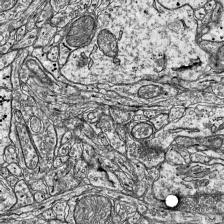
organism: Mouse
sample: Visual Cortex